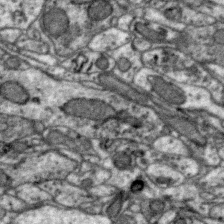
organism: Zebra finch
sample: Brain